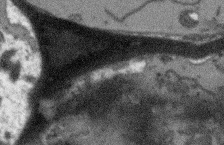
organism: Arabidopsis thaliana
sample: Root tip